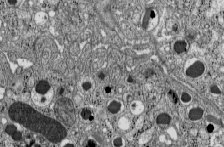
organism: C57BL Mouse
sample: Pancreatic islet